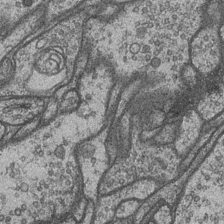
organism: Drosophila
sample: Optic medulla